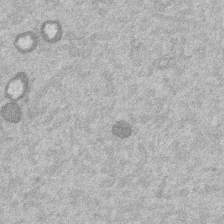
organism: Mouse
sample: Dividing mouse embryo 1 cell stage